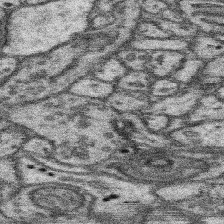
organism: Mouse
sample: Somatosensory cortex neuropil